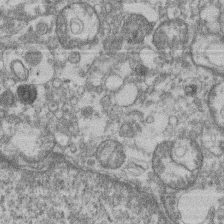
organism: Mouse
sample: T cell stromal cell synapse